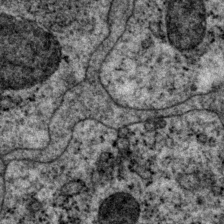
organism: P. pacificus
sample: Pharynx